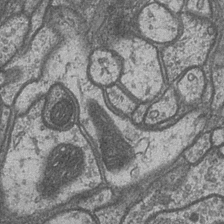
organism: Drosophila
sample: Optic medulla